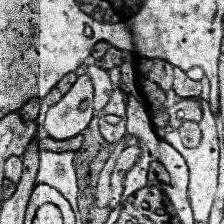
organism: Human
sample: Temporal Lobe